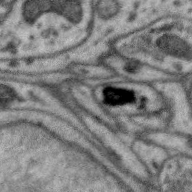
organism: Zebra finch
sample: Brain